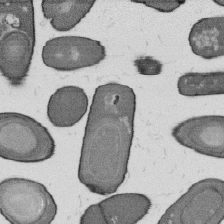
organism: B. subtilis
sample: Bacterial spore